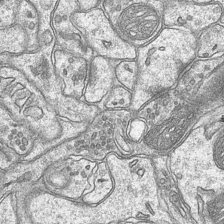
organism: Mouse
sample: CA1 Hippocampus